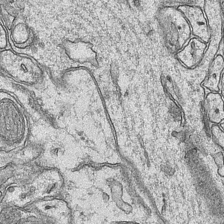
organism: Mouse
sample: CA1 Hippocampus